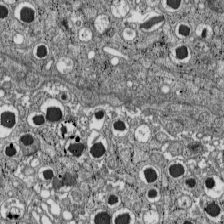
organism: C57BL Mouse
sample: Pancreatic islet